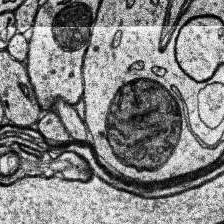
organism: Human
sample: Temporal Lobe